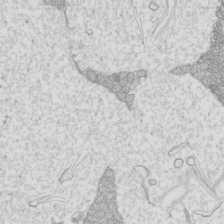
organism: Mouse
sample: Cilia; mouse epididymis